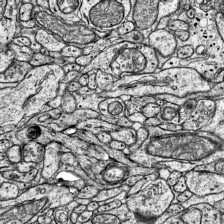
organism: Mouse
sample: Visual Cortex